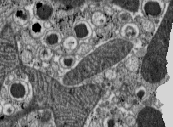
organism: C57BL Mouse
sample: Pancreatic islet